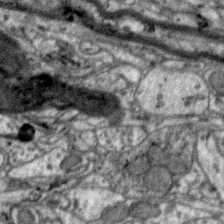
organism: Zebra finch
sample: Brain